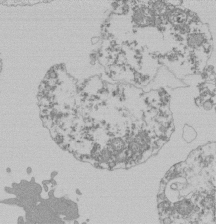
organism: Mouse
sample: Activated Pmel transgenic CD8+ T Cells